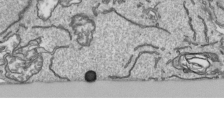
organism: Human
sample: Mitochondria in HCT116 cells